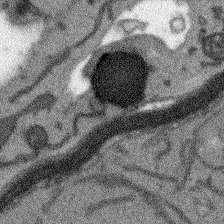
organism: Arabidopsis thaliana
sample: Root tip